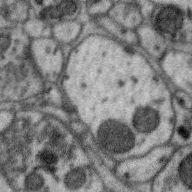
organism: Zebra finch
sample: Brain